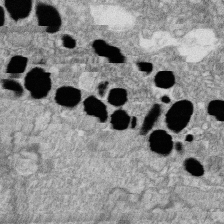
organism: Zebrafish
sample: Cilia; retinal pigment epithelium